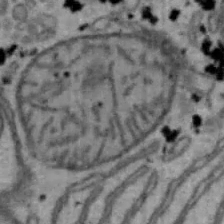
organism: Mouse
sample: Liver